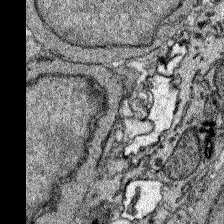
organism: Zebrafish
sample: Larval olfactory bulb